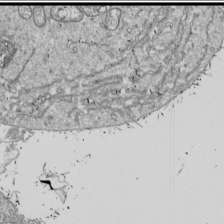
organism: Drosophila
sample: Cell division; meiosis; drosophila spermatocytes